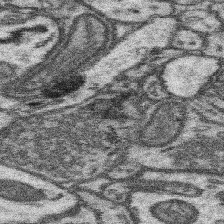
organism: Mouse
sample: Somatosensory cortex neuropil